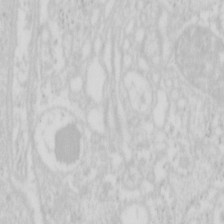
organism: Mouse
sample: Pancreas